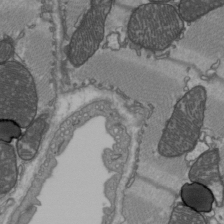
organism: C57BL Mouse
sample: Heart